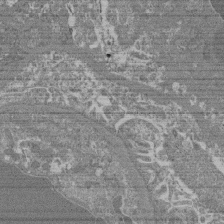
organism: Mouse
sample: Glomerulus